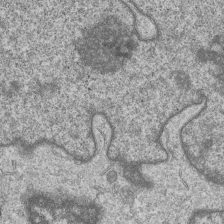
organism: Human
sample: MDA-MB-231 cells